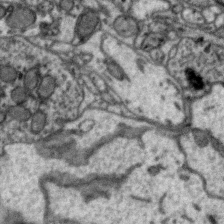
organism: Zebra finch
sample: Brain